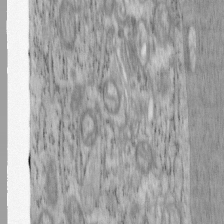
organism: Human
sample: HeLa cells